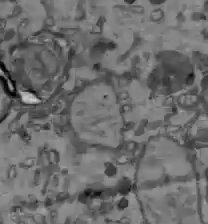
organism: C57BL Mouse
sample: Liver